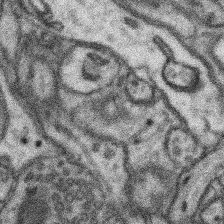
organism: Mouse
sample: Somatosensory cortex neuropil